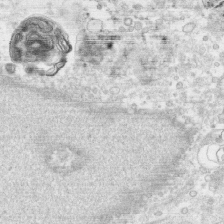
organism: Human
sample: CRL-1474